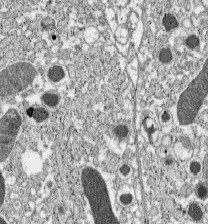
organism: C57BL Mouse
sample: Pancreatic islet